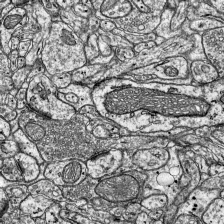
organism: Mouse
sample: Visual Cortex